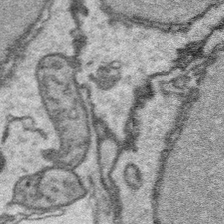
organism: Platynereis dumerilii